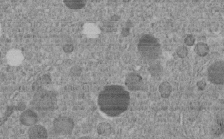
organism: C. elegans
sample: C. elegans embryo early stage